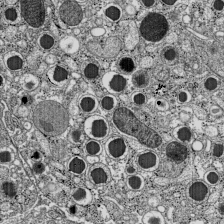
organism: C57BL Mouse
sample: Pancreatic islet